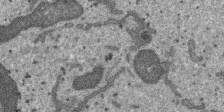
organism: Human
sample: Lung epithelial cells infected with SARS-CoV-2